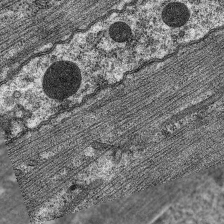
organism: C. elegans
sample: Pharynx